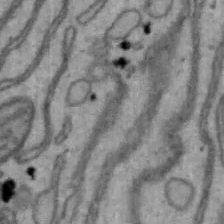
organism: Mouse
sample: Liver